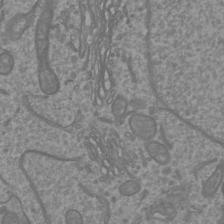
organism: Mouse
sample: Cortical neurons